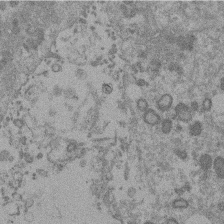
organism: Mouse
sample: Dividing mouse embryo 1 cell stage